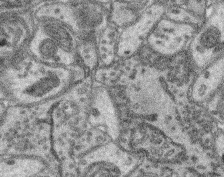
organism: Mouse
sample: Retina